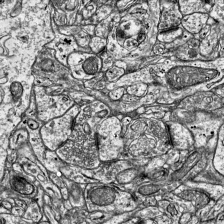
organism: Mouse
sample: Visual Cortex